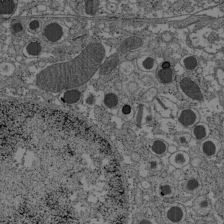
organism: C57BL Mouse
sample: Pancreatic islet